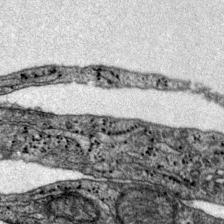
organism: Mouse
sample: Primary visual cortex